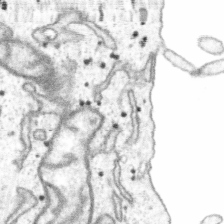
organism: Human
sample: HeLa cells